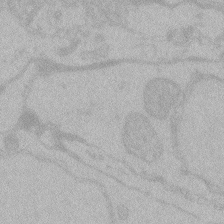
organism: Zebrafish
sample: Macrophage infected with Toxoplasma gondii